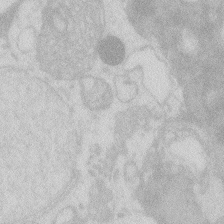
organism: Zebrafish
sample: Macrophage